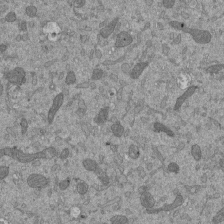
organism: Mouse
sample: ED-1 cell nuclei; centrioles